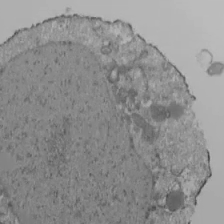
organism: Human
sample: Jurkat E6-1 and CD4 cells